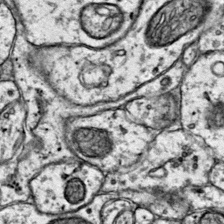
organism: Mouse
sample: Primary visual cortex